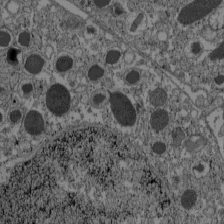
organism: C57BL Mouse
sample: Pancreatic islet